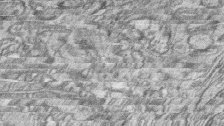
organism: Zebrafish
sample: synaptic ribbons in rod cells and cone cells